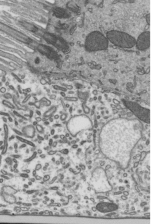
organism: Mouse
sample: Mouse epididymis efferent ductule cilia